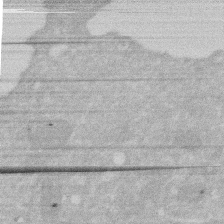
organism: Human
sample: HIV infected U937 cells